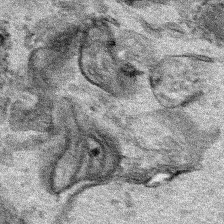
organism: Human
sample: Mitochondria in HCT116 cells